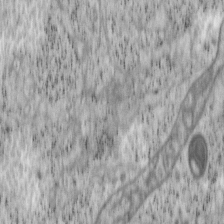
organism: Human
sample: HeLa cells